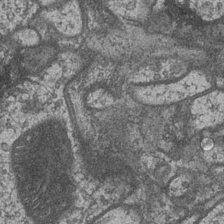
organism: Drosophila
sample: Optic medulla